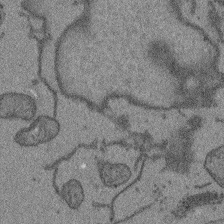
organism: Arabidopsis thaliana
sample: Root tip